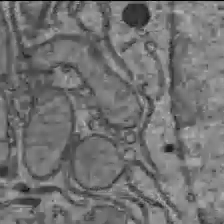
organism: C57BL Mouse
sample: Liver